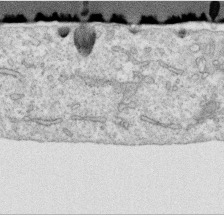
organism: Human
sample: Centriole in RPE cells